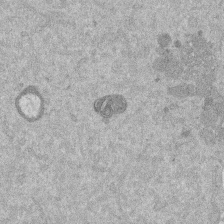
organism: Mouse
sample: Dividing mouse embryo 1 cell stage